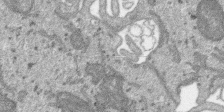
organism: Human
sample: Lung epithelial cells infected with SARS-CoV-2